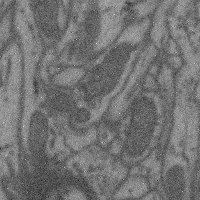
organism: Mouse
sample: Cerebral cortex